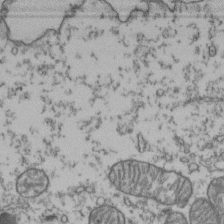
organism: Human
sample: Activated Jurkat CD4+ T cells